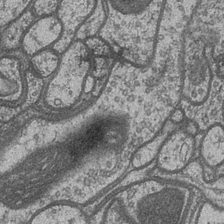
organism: Drosophila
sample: Optic medulla